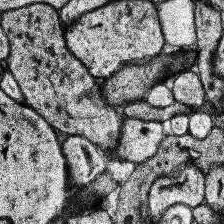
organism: Human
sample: Temporal Lobe